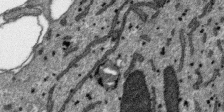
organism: Human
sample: Lung epithelial cells, uninfected (mock) control